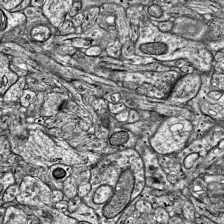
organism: Mouse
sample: Visual Cortex